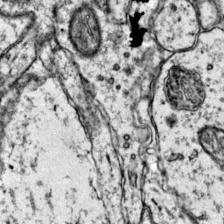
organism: Mouse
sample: Primary visual cortex